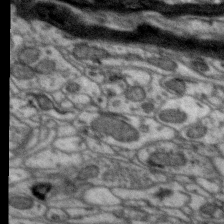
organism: Zebra finch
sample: Brain